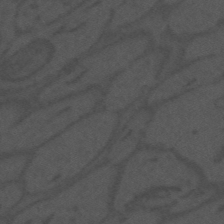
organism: Mouse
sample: Suprachiasmatic nucleus